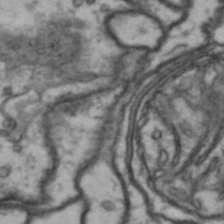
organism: Drosophila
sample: Brain